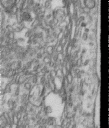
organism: Human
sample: Centriole in RPE cells